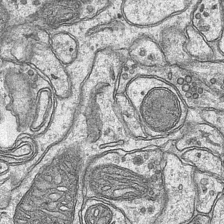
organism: Mouse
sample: CA1 Hippocampus